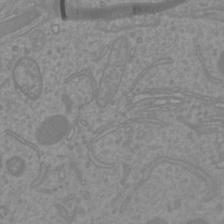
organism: Mouse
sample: Cortical neurons